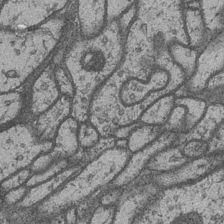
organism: Drosophila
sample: Optic medulla